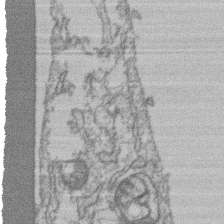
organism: Mouse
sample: T cell stromal cell synapse